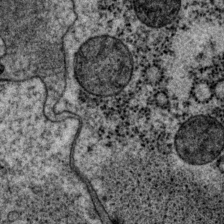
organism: P. pacificus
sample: Pharynx